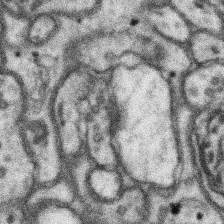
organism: Mouse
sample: Somatosensory cortex neuropil